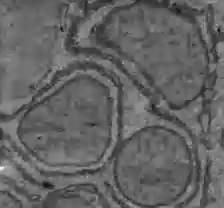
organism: C57BL Mouse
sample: Liver